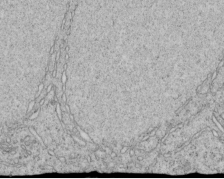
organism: C. elegans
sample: C. elegans embryo early stage